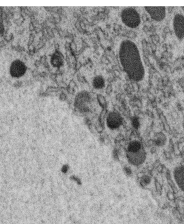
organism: C. elegans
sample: C. elegans oocyte; sperm cells